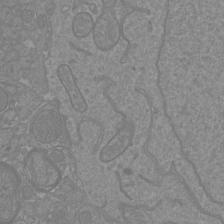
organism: Mouse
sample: Cortical neurons